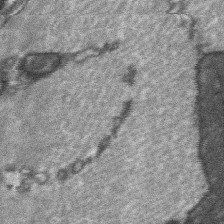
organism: C57BL Mouse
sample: Soleus